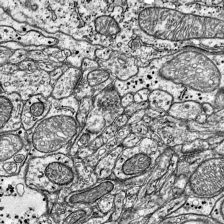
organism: Mouse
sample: Visual Cortex